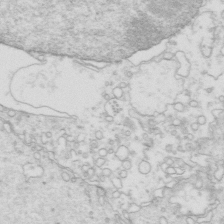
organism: Mouse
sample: Multiciliated cells